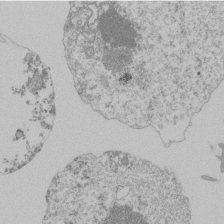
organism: Mouse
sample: Activated Pmel transgenic CD8+ T Cells